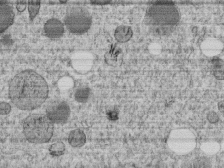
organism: C. elegans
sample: C. elegans embryo early stage